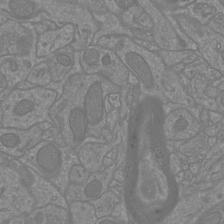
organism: Mouse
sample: Cortical neurons